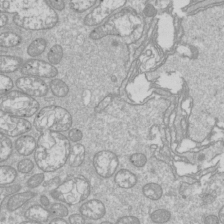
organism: Drosophila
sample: Cell division; meiosis; drosophila spermatocytes